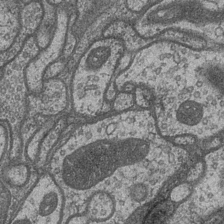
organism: Drosophila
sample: Optic medulla